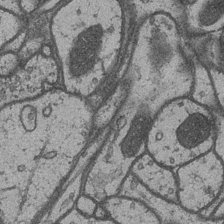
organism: Drosophila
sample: Optic medulla